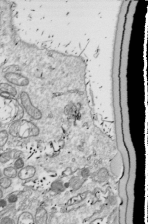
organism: Drosophila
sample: Cell division; meiosis; drosophila spermatocytes